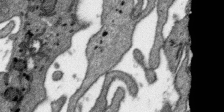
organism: Human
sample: Lung epithelial cells, uninfected (mock) control